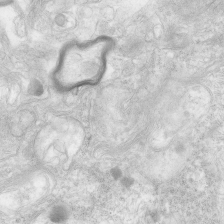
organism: Human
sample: Neocortex